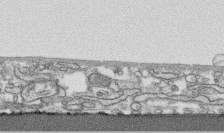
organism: Human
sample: CRL-1474